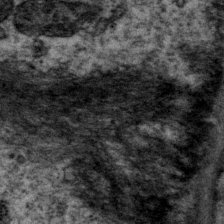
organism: P. pacificus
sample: Pharynx